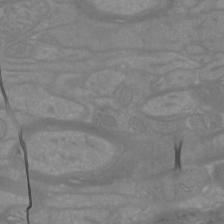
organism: Mouse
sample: Cortical neurons